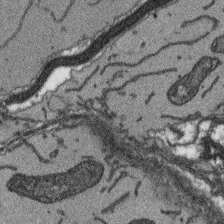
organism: Arabidopsis thaliana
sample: Root tip